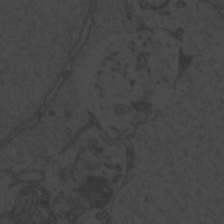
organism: Zebrafish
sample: Macrophage infected with Toxoplasma gondii